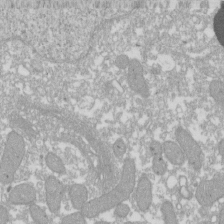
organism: Xenopus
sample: Cilia; centrioles in frog embryo cells